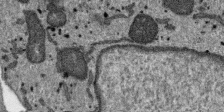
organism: Human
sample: Lung epithelial cells, uninfected (mock) control